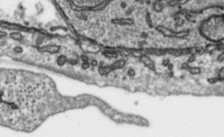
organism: Toxoplasma gondii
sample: Parasites in a vacuole inside a host cell